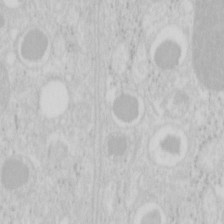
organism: Mouse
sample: Pancreas